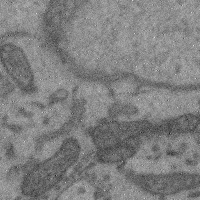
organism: Mouse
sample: Cerebral cortex